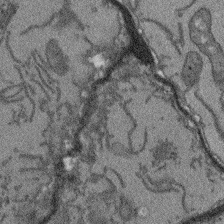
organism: Arabidopsis thaliana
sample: Root tip